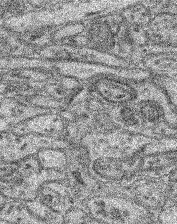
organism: Mouse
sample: Retina